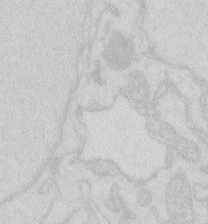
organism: Zebrafish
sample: Macrophage